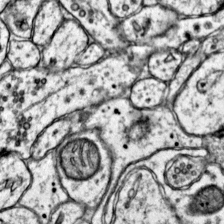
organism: Mouse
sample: Primary visual cortex